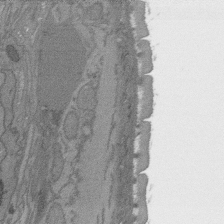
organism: C. elegans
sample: AFD neurons C. elegans